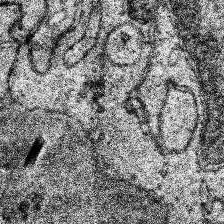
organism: Human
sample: Temporal Lobe